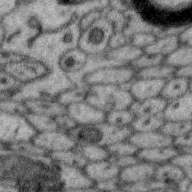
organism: Zebra finch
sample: Brain